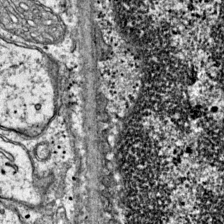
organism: Mouse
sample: Primary visual cortex